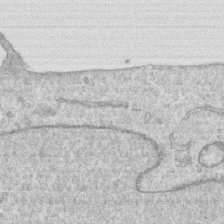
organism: Human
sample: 1205lu cells